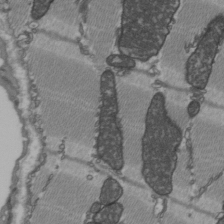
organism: C57BL Mouse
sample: Heart